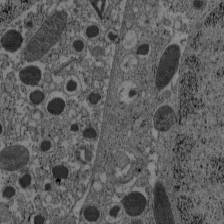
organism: C57BL Mouse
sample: Pancreatic islet